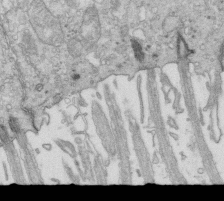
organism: Mouse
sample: Multiciliated cells